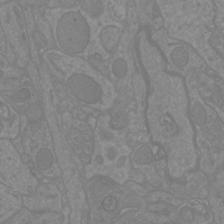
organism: Mouse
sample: Cortical neurons